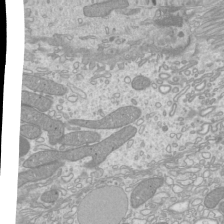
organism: Mouse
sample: Cilia; mouse epididymis